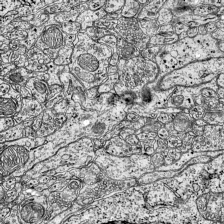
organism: Mouse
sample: Visual Cortex